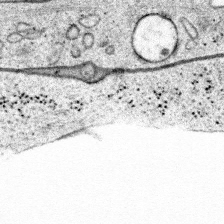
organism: Human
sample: HeLa cells